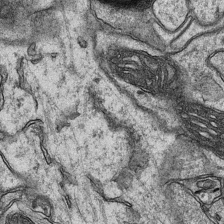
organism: Mouse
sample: CA1 Hippocampus